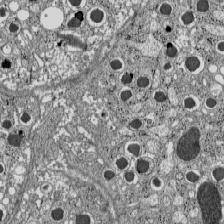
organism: C57BL Mouse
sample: Pancreatic islet